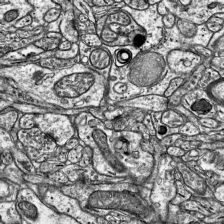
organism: Mouse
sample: Visual Cortex